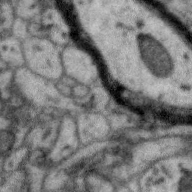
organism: Zebra finch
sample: Brain